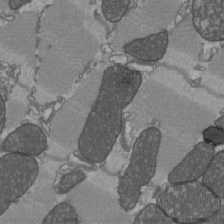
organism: C57BL Mouse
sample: Heart